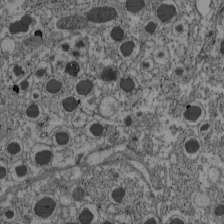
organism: C57BL Mouse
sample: Pancreatic islet